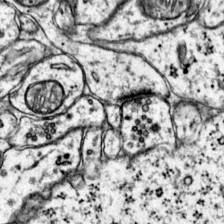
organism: Mouse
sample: Primary visual cortex